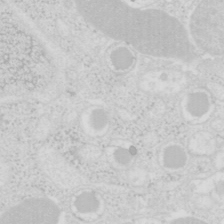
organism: Mouse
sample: Pancreas